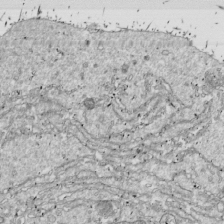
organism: Drosophila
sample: Cell division; meiosis; drosophila spermatocytes